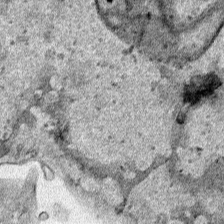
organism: Human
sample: Mitochondria in HCT116 cells